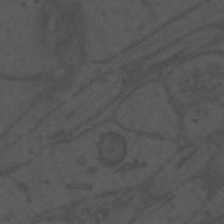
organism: Mouse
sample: Suprachiasmatic nucleus